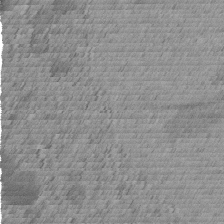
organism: C. elegans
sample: C. elegans embryo early stage